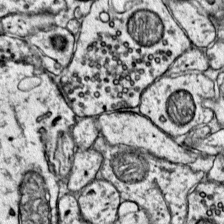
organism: Mouse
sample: Primary visual cortex